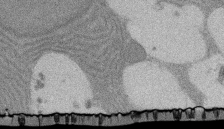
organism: Rat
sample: Salivary granule